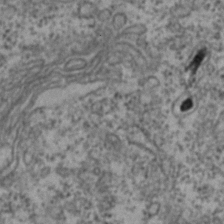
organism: Zebrafish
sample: Zebrafish embryo